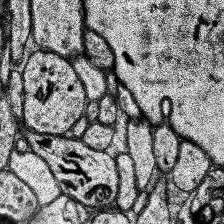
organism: Human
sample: Temporal Lobe